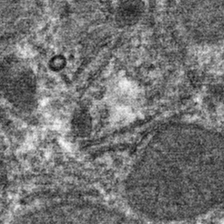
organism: Mouse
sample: Mouse hepatocytes